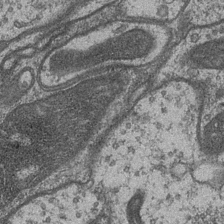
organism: Drosophila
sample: Optic medulla